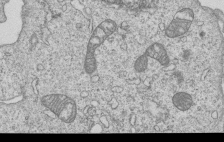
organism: Human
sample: MDA-MB-231 cells